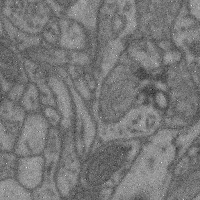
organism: Mouse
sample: Cerebral cortex